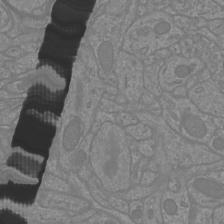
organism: Mouse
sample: Cortical neurons